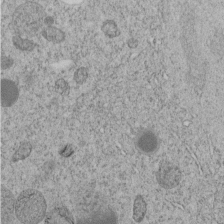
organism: C. elegans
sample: C. elegans embryo early stage